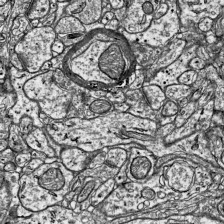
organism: Mouse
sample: Visual Cortex